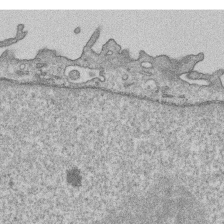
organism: Human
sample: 1205lu cells